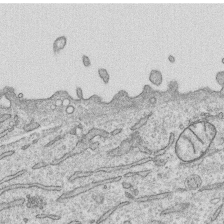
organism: Human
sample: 1205lu cells